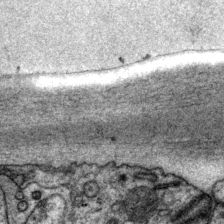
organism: P. pacificus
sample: Pharynx